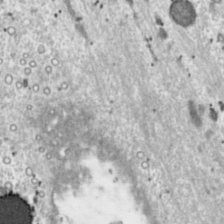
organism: Toxoplasma gondii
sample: Parasites in a vacuole inside a host cell